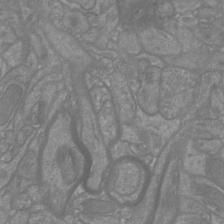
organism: Mouse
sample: Cortical neurons